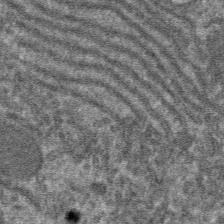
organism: Mouse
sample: Mouse hepatocytes